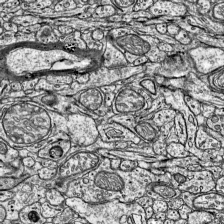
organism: Mouse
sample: Visual Cortex